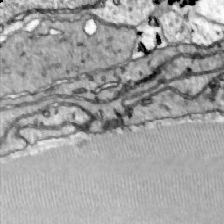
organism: Zebrafish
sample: Actinotrichia fibers